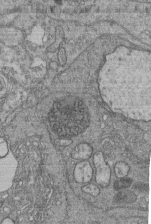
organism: Human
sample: Retinal organoid Rod and Cone cells